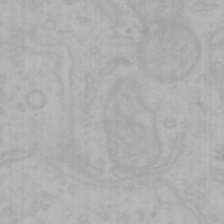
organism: Mouse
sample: Choroid plexus